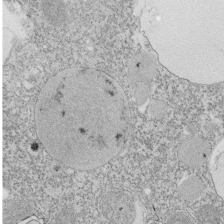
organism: Tetrahymena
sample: Cilia in tetrahymena